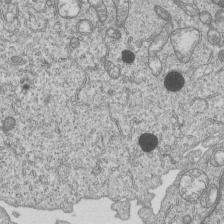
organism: Human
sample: MDA-MB-231 cells